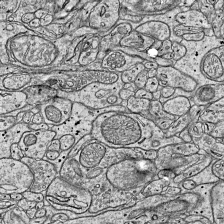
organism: Mouse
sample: Visual Cortex